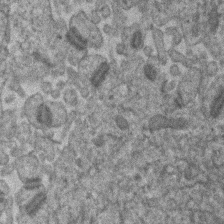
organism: Human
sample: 1205lu cells